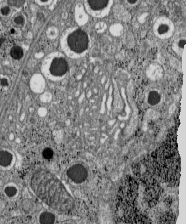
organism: C57BL Mouse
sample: Pancreatic islet